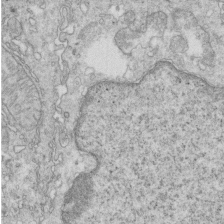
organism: Mouse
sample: Multiciliated cells